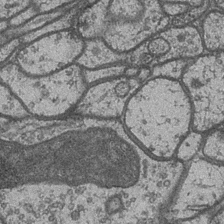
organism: Drosophila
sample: Optic medulla